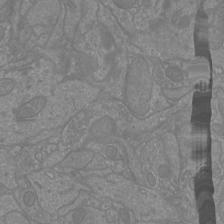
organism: Mouse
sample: Cortical neurons